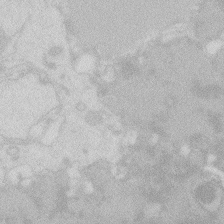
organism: Zebrafish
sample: Macrophage